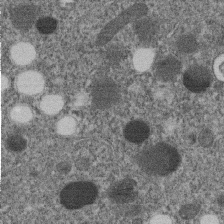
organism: C. elegans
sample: C. elegans embryo early stage